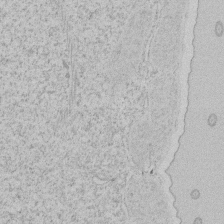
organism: Tetrahymena